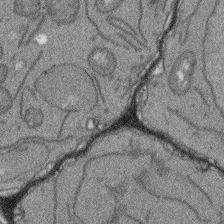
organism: Arabidopsis thaliana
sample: Root tip